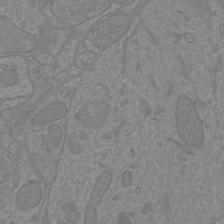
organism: Mouse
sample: Cortical neurons